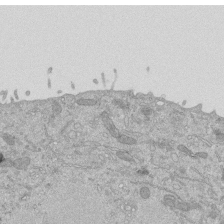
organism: Mouse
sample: ED-1 cell nuclei; centrioles